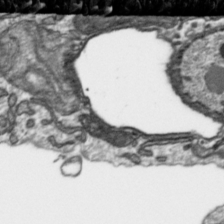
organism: Toxoplasma gondii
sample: Parasites in a vacuole inside a host cell